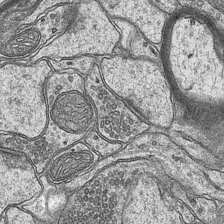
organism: Mouse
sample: CA1 Hippocampus